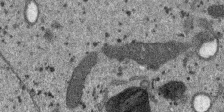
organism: Human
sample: Lung epithelial cells infected with SARS-CoV-2